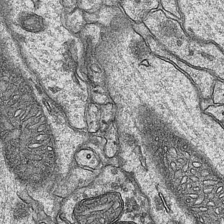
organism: Mouse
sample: CA1 Hippocampus